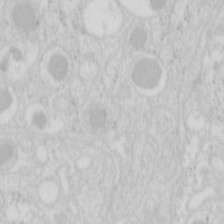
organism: Mouse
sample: Pancreas